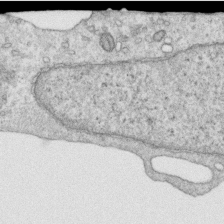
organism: Human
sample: Centriole in RPE cells